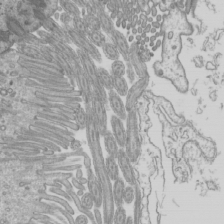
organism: Mouse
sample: Cilia; mouse epididymis